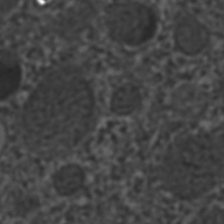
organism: C. elegans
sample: C. elegans embryo